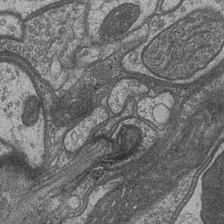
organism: Drosophila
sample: Optic medulla